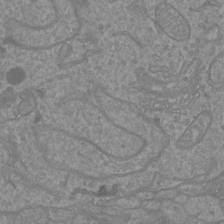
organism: Mouse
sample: Cortical neurons